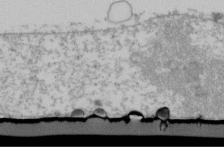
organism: Human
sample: U2-OS cells